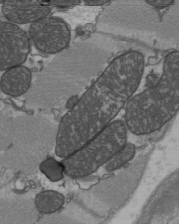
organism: C57BL Mouse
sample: Heart